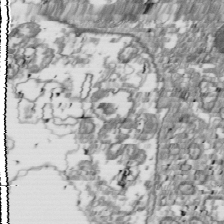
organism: Drosophila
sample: Cell division; meiosis; drosophila spermatocytes